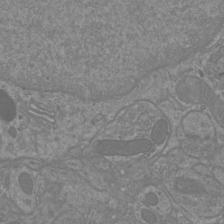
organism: Mouse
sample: Cortical neurons